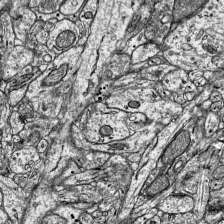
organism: Mouse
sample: Visual Cortex